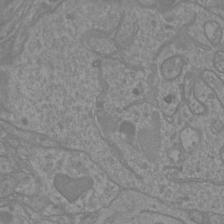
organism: Mouse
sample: Cortical neurons